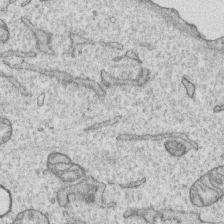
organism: Human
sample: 1205lu cells